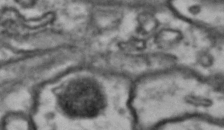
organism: Drosophila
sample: Brain